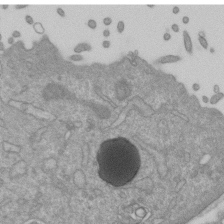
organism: Mouse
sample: ED-1 cell nuclei; centrioles